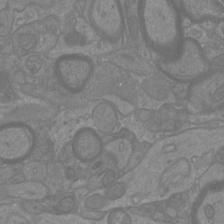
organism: Mouse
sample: Cortical neurons